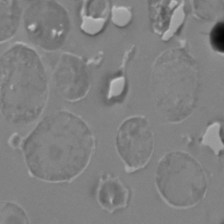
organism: C. elegans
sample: C. elegans embryo